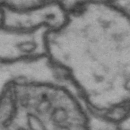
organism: Drosophila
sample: Brain